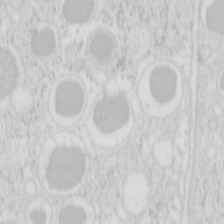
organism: Mouse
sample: Pancreas